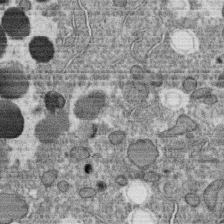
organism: C. elegans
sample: C. elegans oocyte; sperm cells